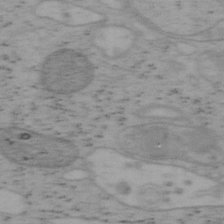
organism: Mouse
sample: OT-I killer T cells with ID8 ovarian cancer cells